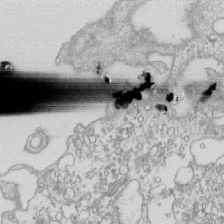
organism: Mouse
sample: Macrophages